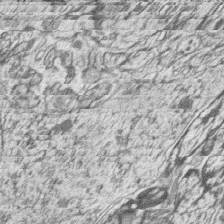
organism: Zebrafish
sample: synaptic ribbons in rod cells and cone cells